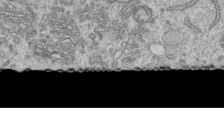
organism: Human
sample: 1205lu cells